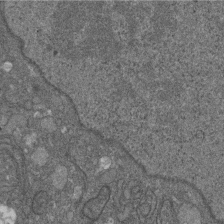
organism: Drosophila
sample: Nephrocyte